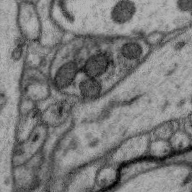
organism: Zebra finch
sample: Brain